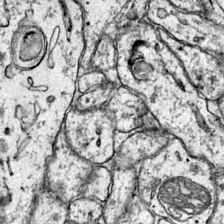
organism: Mouse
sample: Primary visual cortex